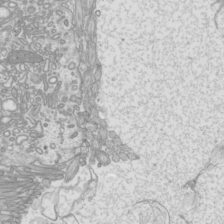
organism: Mouse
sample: Cilia; mouse epididymis